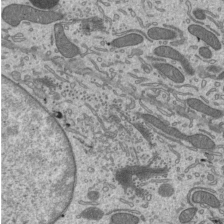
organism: Mouse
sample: Mouse epididymis efferent ductule cilia